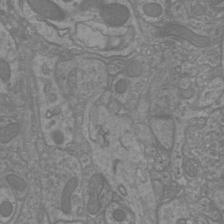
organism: Mouse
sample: Cortical neurons